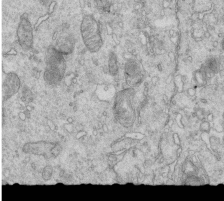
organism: Mouse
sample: Multiciliated cells